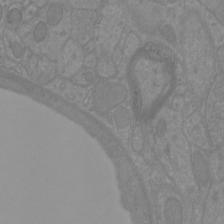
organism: Mouse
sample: Cortical neurons